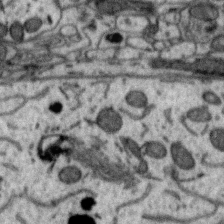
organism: Zebra finch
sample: Brain